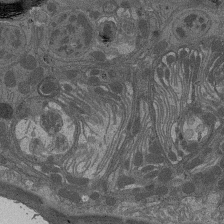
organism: Drosophila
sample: Antenna